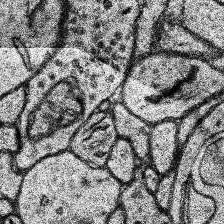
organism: Human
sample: Temporal Lobe